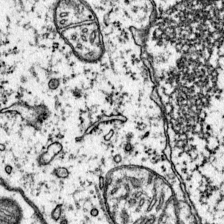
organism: Mouse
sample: Primary visual cortex